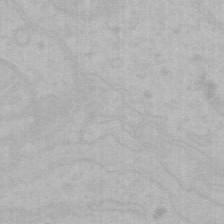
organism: Mouse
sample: Choroid plexus